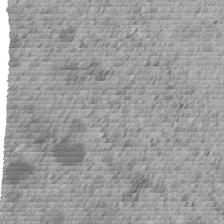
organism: C. elegans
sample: C. elegans embryo early stage